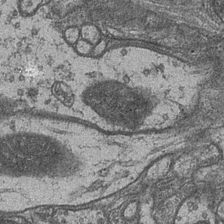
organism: Drosophila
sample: Optic medulla